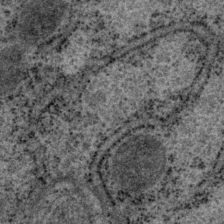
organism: P. pacificus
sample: Pharynx